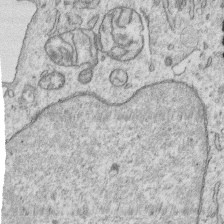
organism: Human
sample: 1205lu cells